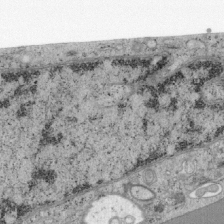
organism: Human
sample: HeLa cells